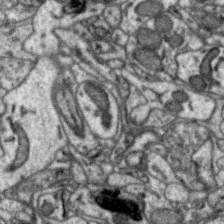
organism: Zebra finch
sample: Brain